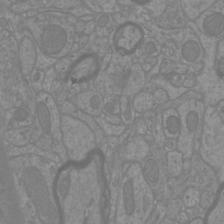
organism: Mouse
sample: Cortical neurons